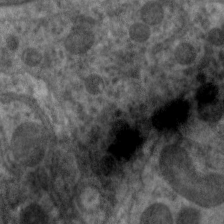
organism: C. elegans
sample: Pharynx